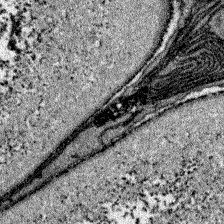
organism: Zebrafish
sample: Larval olfactory bulb